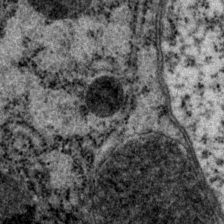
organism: P. pacificus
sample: Pharynx